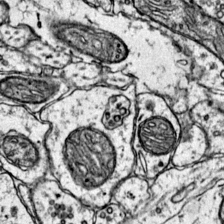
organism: Mouse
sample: Primary visual cortex